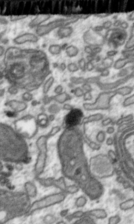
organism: Toxoplasma gondii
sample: Parasites in a vacuole inside a host cell